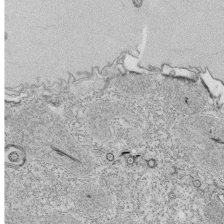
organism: Tetrahymena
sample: Cilia in tetrahymena